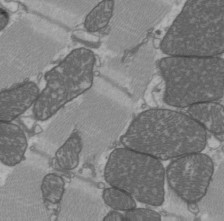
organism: C57BL Mouse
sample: Heart